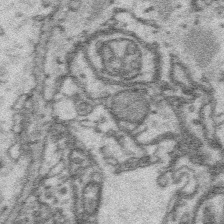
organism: Platynereis dumerilii